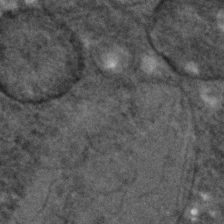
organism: C. elegans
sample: C. elegans embryo